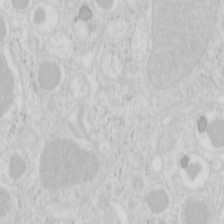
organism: Mouse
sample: Pancreas